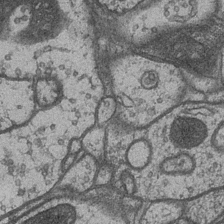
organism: Drosophila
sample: Optic medulla